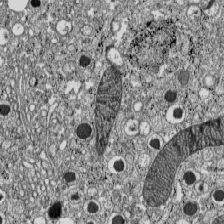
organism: C57BL Mouse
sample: Pancreatic islet